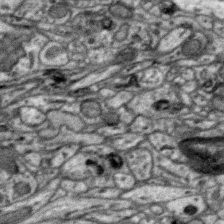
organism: Zebra finch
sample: Brain